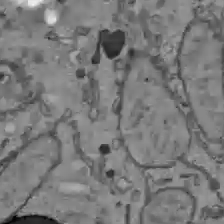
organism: C57BL Mouse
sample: Liver